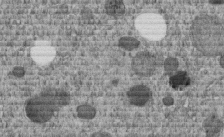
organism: C. elegans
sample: C. elegans embryo early stage